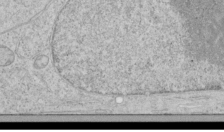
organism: Human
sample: Mitochondria in HCT116 cells